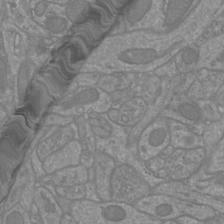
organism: Mouse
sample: Cortical neurons